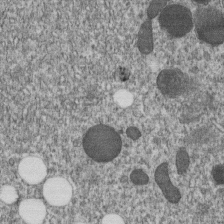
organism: C. elegans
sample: C. elegans embryo early stage